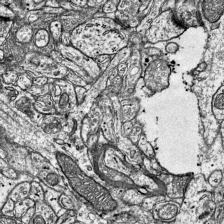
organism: Mouse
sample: Visual Cortex